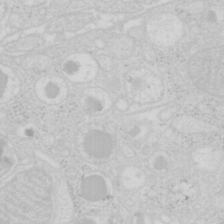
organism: Mouse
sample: Pancreas